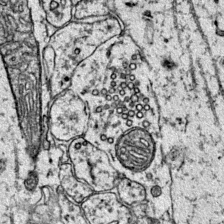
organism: Mouse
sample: Primary visual cortex